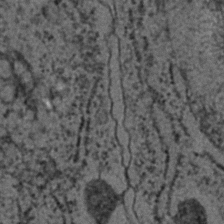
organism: C. elegans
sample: C. elegans embryo